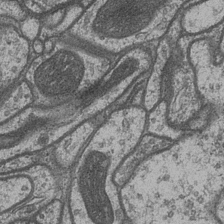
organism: Drosophila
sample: Optic medulla